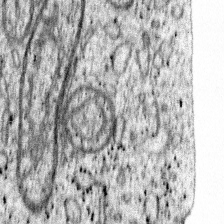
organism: Human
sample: HeLa cells